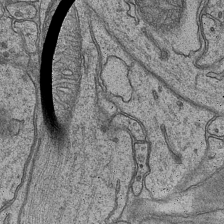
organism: Mouse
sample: CA1 Hippocampus